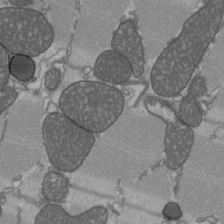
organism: C57BL Mouse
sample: Heart